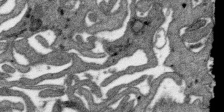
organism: Human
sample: Lung epithelial cells, uninfected (mock) control